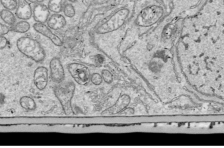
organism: Drosophila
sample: Cell division; meiosis; drosophila spermatocytes